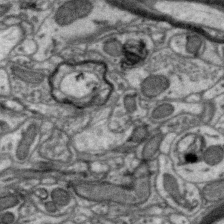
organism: Zebra finch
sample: Brain